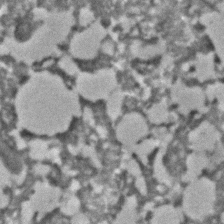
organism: C. elegans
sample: C. elegans embryo